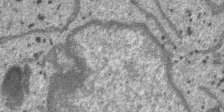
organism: Human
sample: Lung epithelial cells infected with SARS-CoV-2